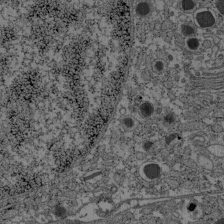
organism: C57BL Mouse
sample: Pancreatic islet